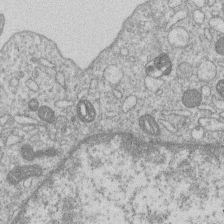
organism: Human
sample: Macrophage cells